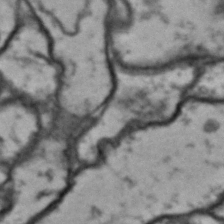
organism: Drosophila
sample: Brain